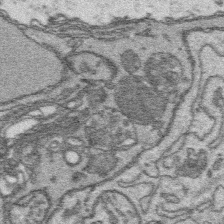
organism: Platynereis dumerilii